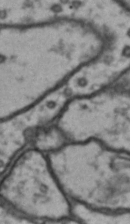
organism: Drosophila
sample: Brain